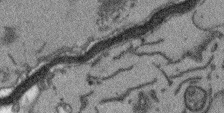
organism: Arabidopsis thaliana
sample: Root tip